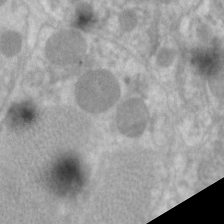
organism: C. elegans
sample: Pharynx